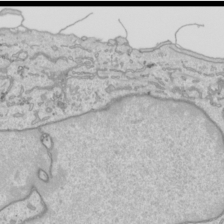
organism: Human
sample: Mitochondria in HCT116 cells